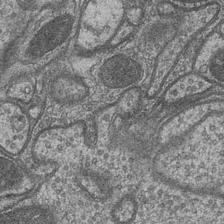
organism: Drosophila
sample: Optic medulla